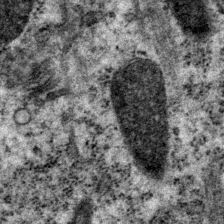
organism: P. pacificus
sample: Pharynx